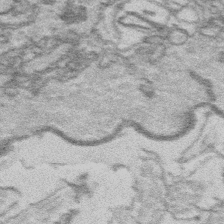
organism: Platynereis dumerilii